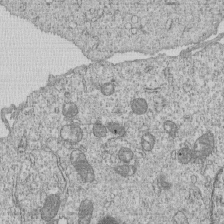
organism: Human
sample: MDA-MB-231 cells